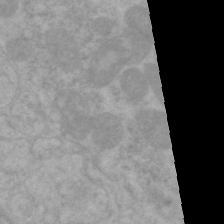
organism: C. elegans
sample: Pharynx